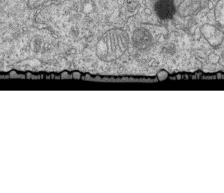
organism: Human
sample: HeLa cell HIV synapse